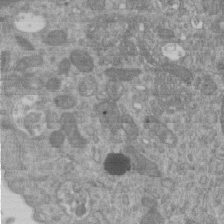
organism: Mouse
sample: ED-1 cell nuclei; centrioles